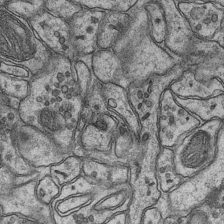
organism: Mouse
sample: CA1 Hippocampus